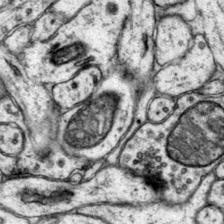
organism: Mouse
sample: Primary visual cortex